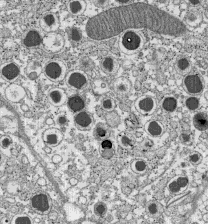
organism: C57BL Mouse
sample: Pancreatic islet